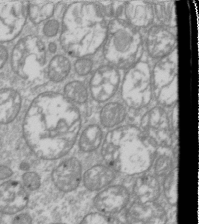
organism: Drosophila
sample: Cell division; meiosis; drosophila spermatocytes